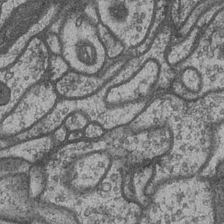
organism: Drosophila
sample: Optic medulla